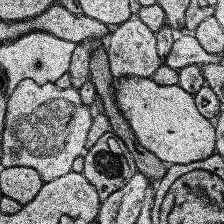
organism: Human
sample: Temporal Lobe